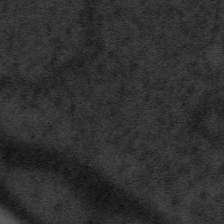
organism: Tuwongella immobilis